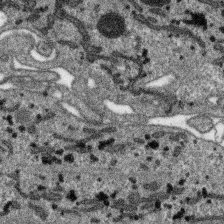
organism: Human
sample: Lung epithelial cells infected with SARS-CoV-2